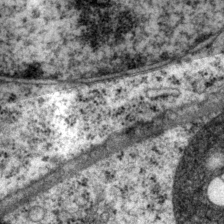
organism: P. pacificus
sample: Pharynx